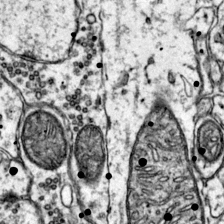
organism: Mouse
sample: Primary visual cortex